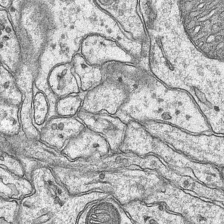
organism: Mouse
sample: CA1 Hippocampus